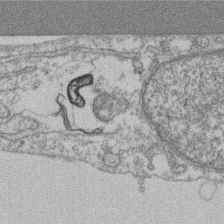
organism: Mouse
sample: T cell stromal cell synapse